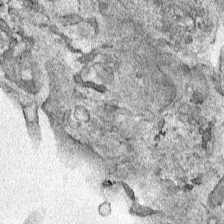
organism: Human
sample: Mitochondria in HCT116 cells